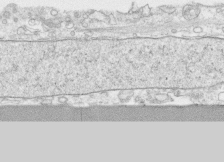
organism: Human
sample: CRL-1474